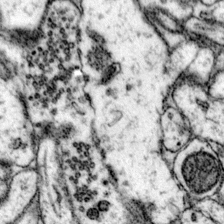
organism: Mouse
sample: Primary visual cortex